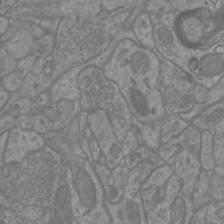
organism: Mouse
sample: Cortical neurons